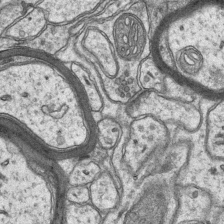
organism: Mouse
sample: CA1 Hippocampus